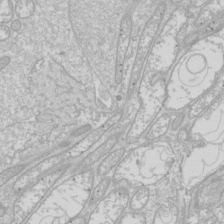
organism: Drosophila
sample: Cell division; meiosis; drosophila spermatocytes